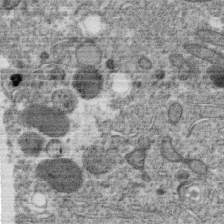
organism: C. elegans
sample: C. elegans oocyte; sperm cells